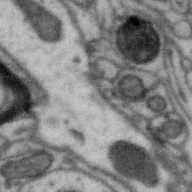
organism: Zebra finch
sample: Brain